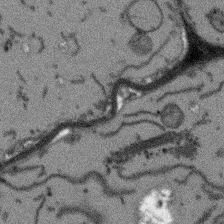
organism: Arabidopsis thaliana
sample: Root tip